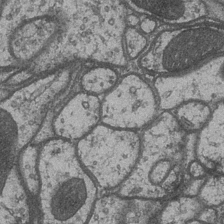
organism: Drosophila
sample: Optic medulla